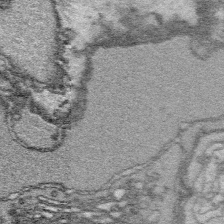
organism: Platynereis dumerilii